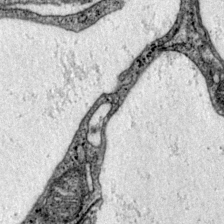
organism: Mouse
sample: Primary visual cortex